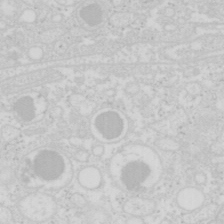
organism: Mouse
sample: Pancreas